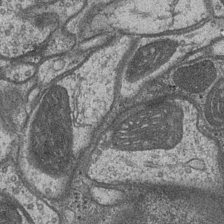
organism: Drosophila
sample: Optic medulla